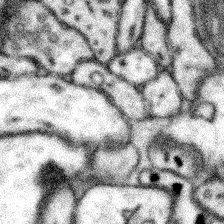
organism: Mouse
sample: Somatosensory cortex neuropil